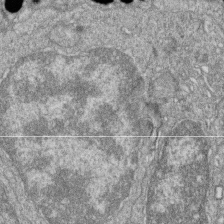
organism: Zebrafish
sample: Cilia; retinal pigment epithelium